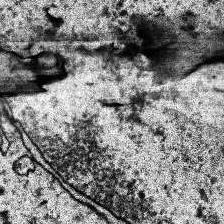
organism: Human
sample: Temporal Lobe